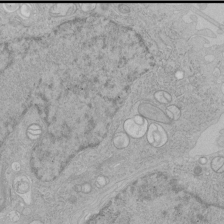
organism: Human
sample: Mitochondria in HCT116 cells